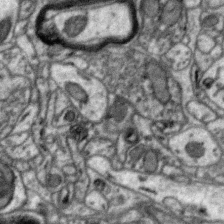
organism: Zebra finch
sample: Brain